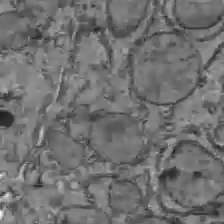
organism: C57BL Mouse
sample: Liver